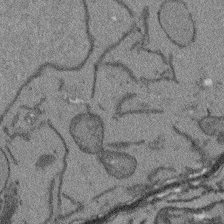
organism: Arabidopsis thaliana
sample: Root tip